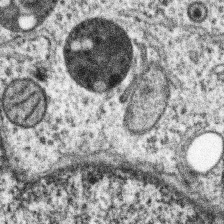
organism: Human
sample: HeLa cells